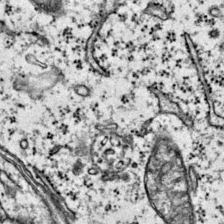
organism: Mouse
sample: Primary visual cortex